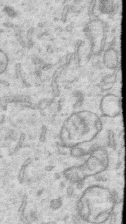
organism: Human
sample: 1205lu cells